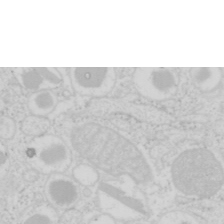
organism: Mouse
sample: Pancreas